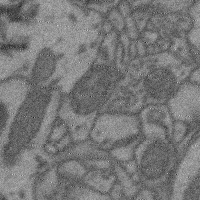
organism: Mouse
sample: Cerebral cortex